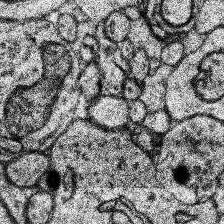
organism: Human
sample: Temporal Lobe